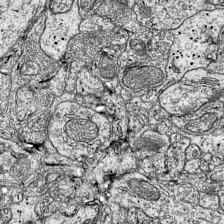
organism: Mouse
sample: Visual Cortex